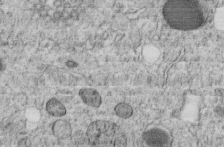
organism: C. elegans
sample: C. elegans embryo early stage